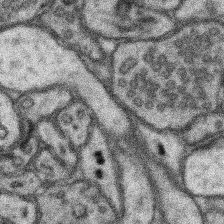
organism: Mouse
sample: Somatosensory cortex neuropil